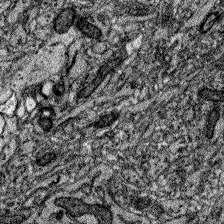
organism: Zebrafish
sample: Larval olfactory bulb